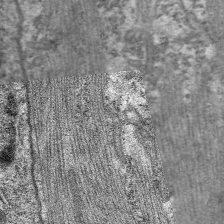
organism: C. elegans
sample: Pharynx